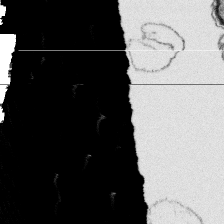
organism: Platynereis dumerilii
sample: Parapodia